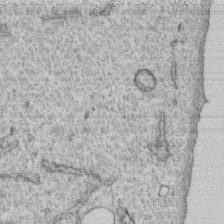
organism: Human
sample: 1205lu cells